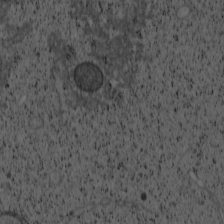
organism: African green monkey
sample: COS-7 cells